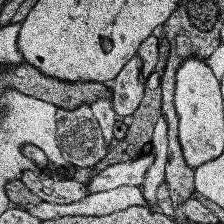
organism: Human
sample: Temporal Lobe